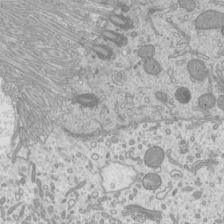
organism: Mouse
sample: Cilia; mouse epididymis